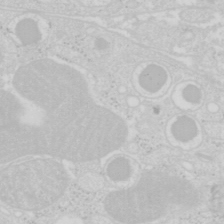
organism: Mouse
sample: Pancreas